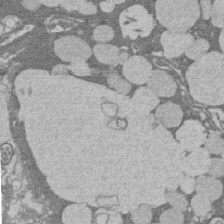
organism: Rat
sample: Salivary granule